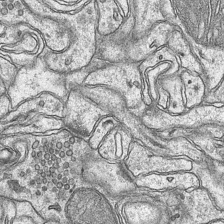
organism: Mouse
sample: CA1 Hippocampus